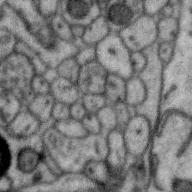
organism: Zebra finch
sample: Brain